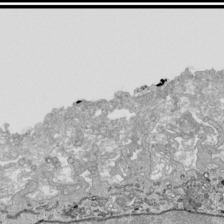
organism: Human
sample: Mitochondria in HCT116 cells